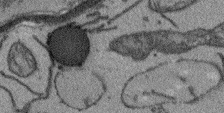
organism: Arabidopsis thaliana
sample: Root tip